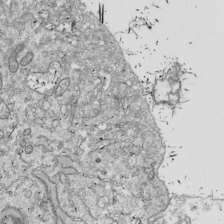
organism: Drosophila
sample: Cell division; meiosis; drosophila spermatocytes